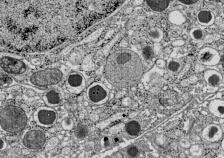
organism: C57BL Mouse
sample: Pancreatic islet